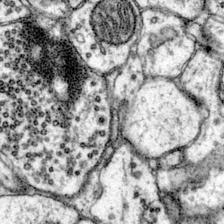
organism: Mouse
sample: Primary visual cortex